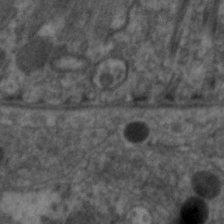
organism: C. elegans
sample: Pharynx